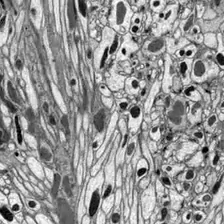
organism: Drosophila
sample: Optic lobe